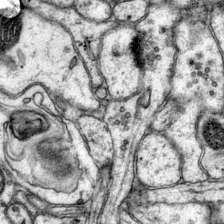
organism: Mouse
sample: Primary visual cortex